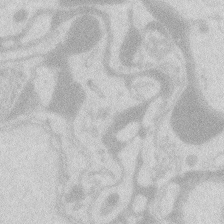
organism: Zebrafish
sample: Macrophage